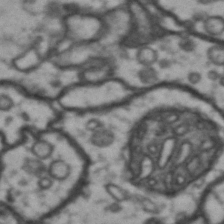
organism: Drosophila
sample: Brain